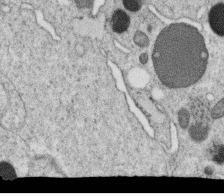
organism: C. elegans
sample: C. elegans oocyte; sperm cells